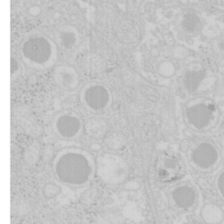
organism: Mouse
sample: Pancreas